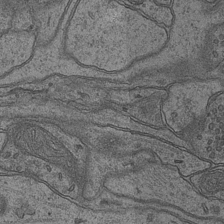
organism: Mouse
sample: CA1 Hippocampus